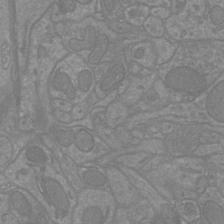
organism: Mouse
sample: Cortical neurons